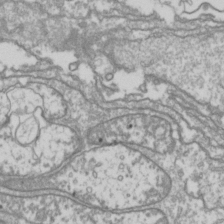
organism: Drosophila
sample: Cell division; meiosis; drosophila spermatocytes